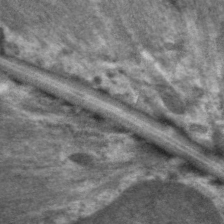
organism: C. elegans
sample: Pharynx